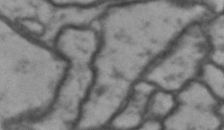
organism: Drosophila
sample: Brain